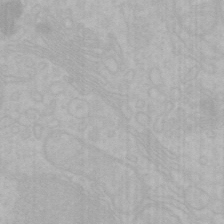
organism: Mouse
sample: Choroid plexus